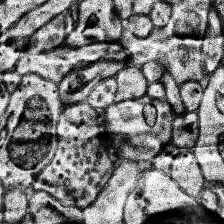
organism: Human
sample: Temporal Lobe